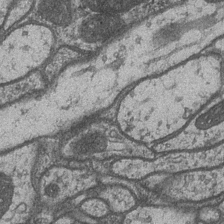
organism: Drosophila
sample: Optic medulla